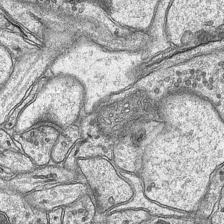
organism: Mouse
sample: CA1 Hippocampus